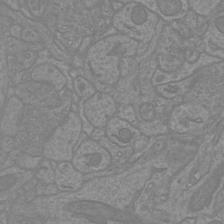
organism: Mouse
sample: Cortical neurons